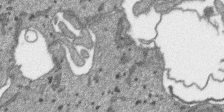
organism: Human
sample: Lung epithelial cells infected with SARS-CoV-2